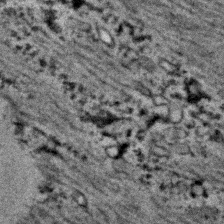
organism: C. elegans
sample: C. elegans embryo